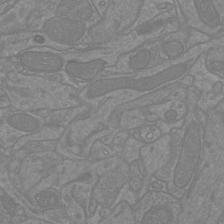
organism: Mouse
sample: Cortical neurons